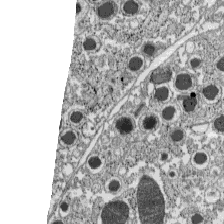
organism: C57BL Mouse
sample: Pancreatic islet